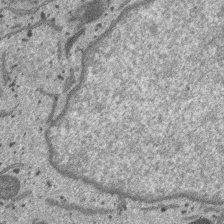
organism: Human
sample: Lung epithelial cells infected with SARS-CoV-2